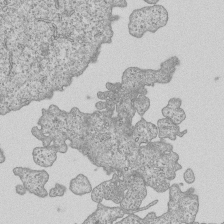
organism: Human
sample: MDA-MB-231 cells